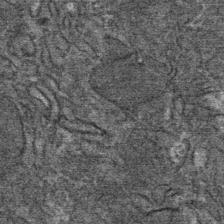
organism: Mouse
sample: Mouse Salivary gland